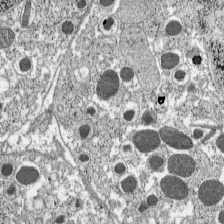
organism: C57BL Mouse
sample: Pancreatic islet